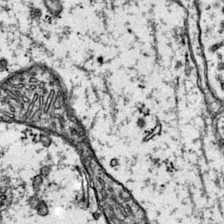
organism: Mouse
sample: Primary visual cortex